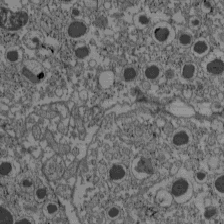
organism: C57BL Mouse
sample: Pancreatic islet